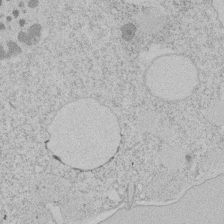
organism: Tetrahymena